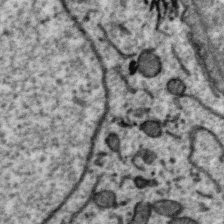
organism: Zebra finch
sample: Brain